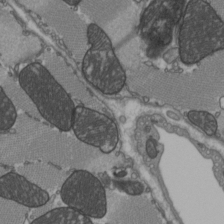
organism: C57BL Mouse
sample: Heart